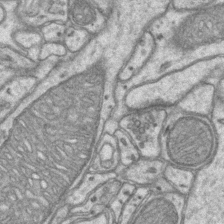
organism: Mouse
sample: CA1 Hippocampus